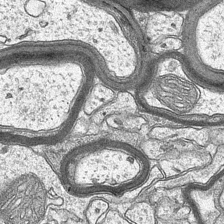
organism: Mouse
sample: CA1 Hippocampus